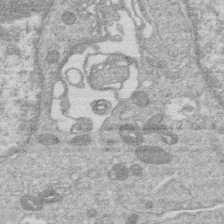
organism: Human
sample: Macrophage cells